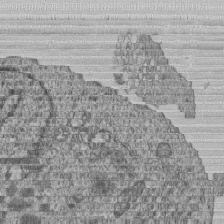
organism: Human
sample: MDA-MB-231 cells